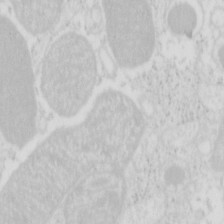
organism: Mouse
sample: Pancreas